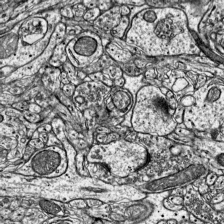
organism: Mouse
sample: Visual Cortex